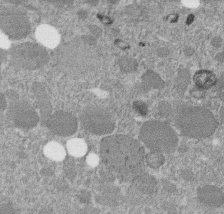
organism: C. elegans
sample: C. elegans embryo early stage